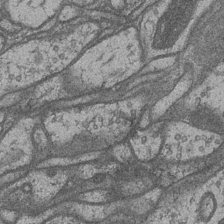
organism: Drosophila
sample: Optic medulla